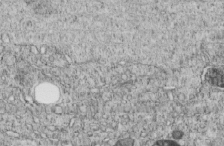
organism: C. elegans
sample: C. elegans embryo early stage